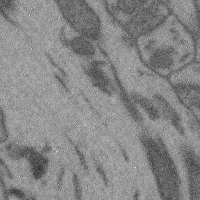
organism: Mouse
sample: Cerebral cortex